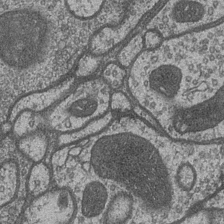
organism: Drosophila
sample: Optic medulla